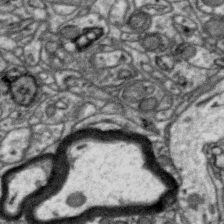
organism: Zebra finch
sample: Brain